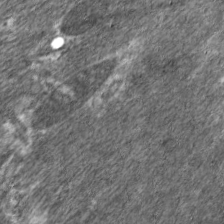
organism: C. elegans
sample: Pharynx